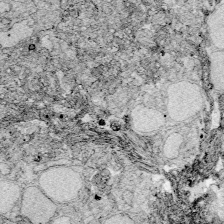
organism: Zebrafish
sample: Whole-Brain